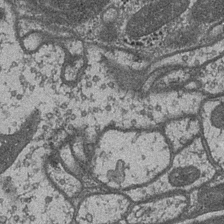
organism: Drosophila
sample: Optic medulla